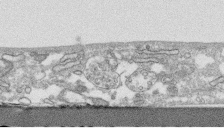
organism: Human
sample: CRL-1474